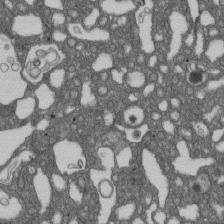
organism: Drosophila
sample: Nephrocyte